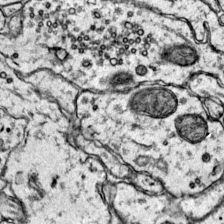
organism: Mouse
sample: Primary visual cortex